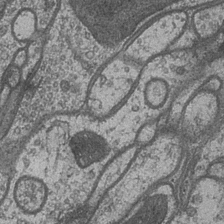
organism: Drosophila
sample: Optic medulla